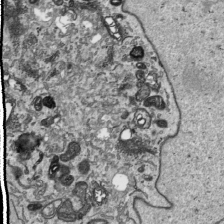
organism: Human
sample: Mitochondria in HCT116 cells